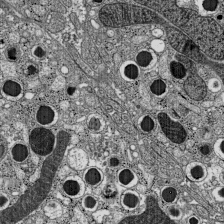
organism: C57BL Mouse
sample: Pancreatic islet